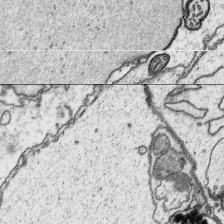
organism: Platynereis dumerilii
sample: Parapodia